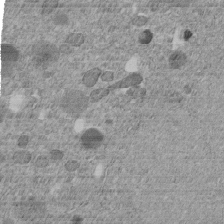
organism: C. elegans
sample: C. elegans embryo early stage